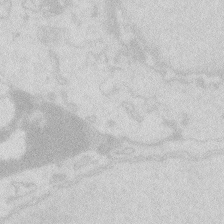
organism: Zebrafish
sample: Macrophage